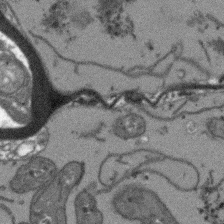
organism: Arabidopsis thaliana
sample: Root tip